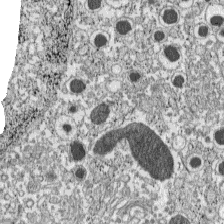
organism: C57BL Mouse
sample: Pancreatic islet